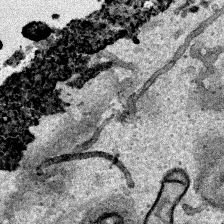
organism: Human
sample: Mitochondria in HCT116 cells